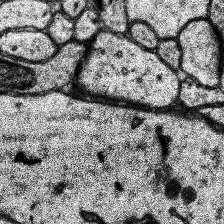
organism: Human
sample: Temporal Lobe